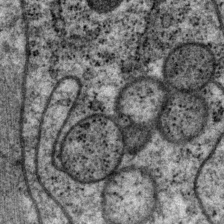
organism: P. pacificus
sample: Pharynx